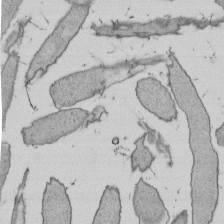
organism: E. coli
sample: Bacterial nucleoid